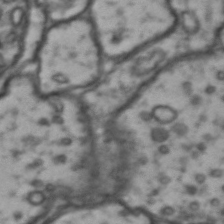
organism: Drosophila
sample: Brain